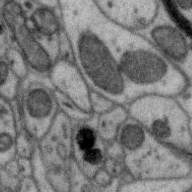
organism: Zebra finch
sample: Brain